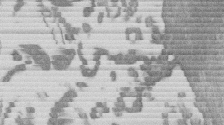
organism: Mouse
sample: Dividing mouse embryo 1 cell stage